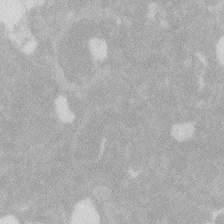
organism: Zebrafish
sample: Macrophage